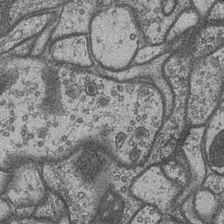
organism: Drosophila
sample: Optic medulla